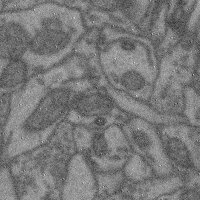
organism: Mouse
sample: Cerebral cortex